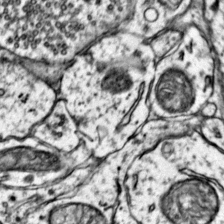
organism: Mouse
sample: Primary visual cortex